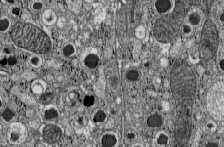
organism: C57BL Mouse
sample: Pancreatic islet